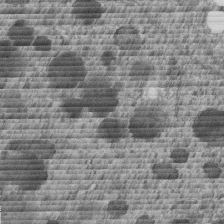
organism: C. elegans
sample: C. elegans embryo early stage